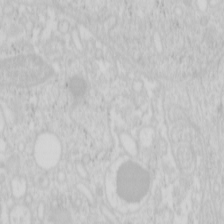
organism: Mouse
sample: Pancreas